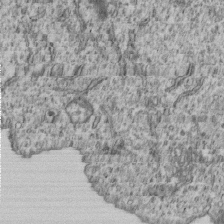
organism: Human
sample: MDA-MB-231 cells